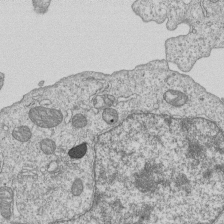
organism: Human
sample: MDA-MB-231 cells